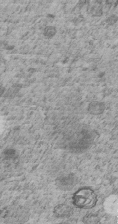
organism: C. elegans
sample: C. elegans embryo early stage